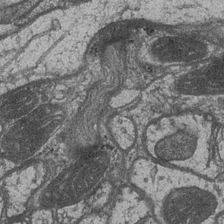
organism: Drosophila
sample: Optic medulla